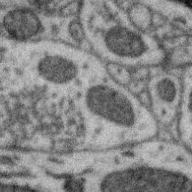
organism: Zebra finch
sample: Brain